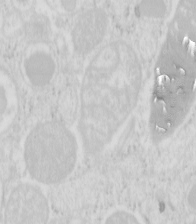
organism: Mouse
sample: Pancreas